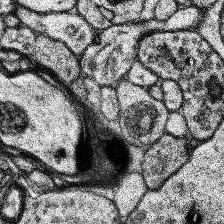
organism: Human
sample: Temporal Lobe